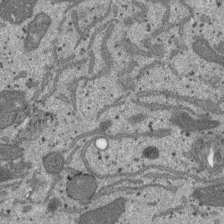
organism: Human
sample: Lung epithelial cells infected with SARS-CoV-2